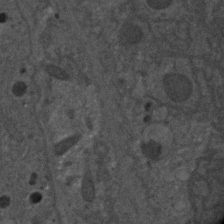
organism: C. elegans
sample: C. elegans embryo